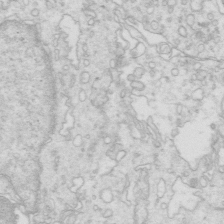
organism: Mouse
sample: Multiciliated cells